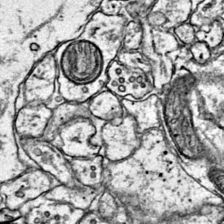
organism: Mouse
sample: Primary visual cortex